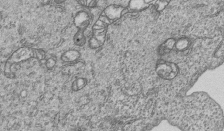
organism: Human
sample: MDA-MB-231 cells